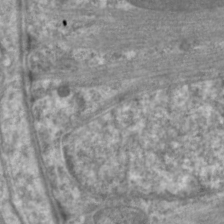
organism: C. elegans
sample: Pharynx